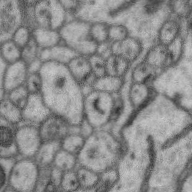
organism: Zebra finch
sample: Brain